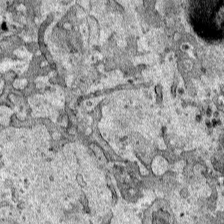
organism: Human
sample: Mitochondria in HCT116 cells